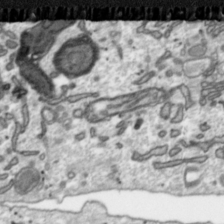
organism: Toxoplasma gondii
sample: Parasites in a vacuole inside a host cell